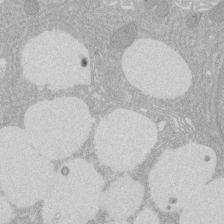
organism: Rat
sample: Salivary granule